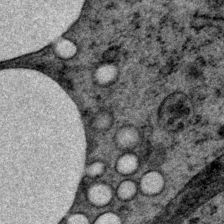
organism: P. pacificus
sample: Pharynx